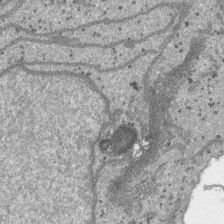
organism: Human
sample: Lung epithelial cells infected with SARS-CoV-2